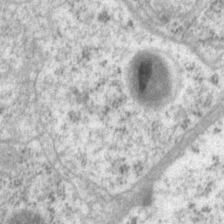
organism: P. pacificus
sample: Pharynx